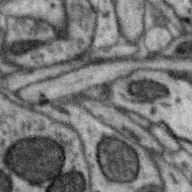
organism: Zebra finch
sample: Brain